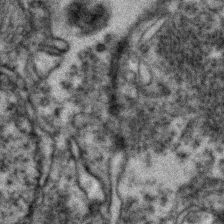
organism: Zebrafish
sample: Zebrafish embryo